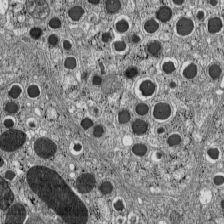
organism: C57BL Mouse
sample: Pancreatic islet